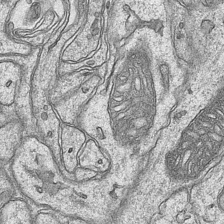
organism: Mouse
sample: CA1 Hippocampus